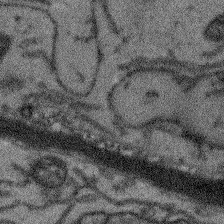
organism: Arabidopsis thaliana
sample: Root tip